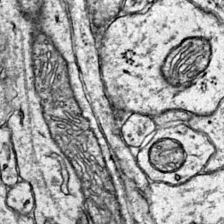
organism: Mouse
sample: Primary visual cortex